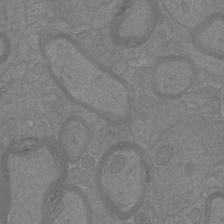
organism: Mouse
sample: Cortical neurons